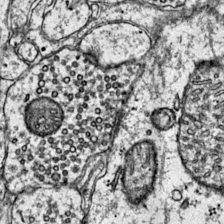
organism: Mouse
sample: Primary visual cortex